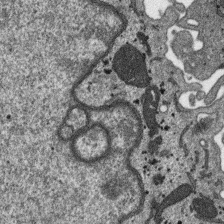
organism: Human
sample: Lung epithelial cells infected with SARS-CoV-2